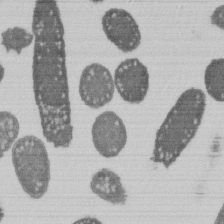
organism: E. coli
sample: Bacterial nucleoid